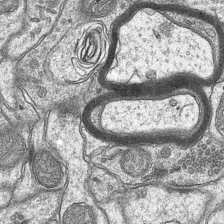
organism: Mouse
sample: CA1 Hippocampus